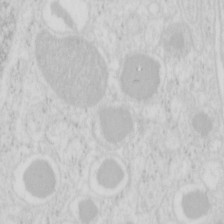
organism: Mouse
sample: Pancreas